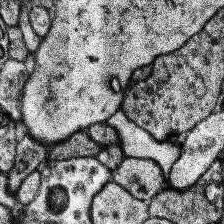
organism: Human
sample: Temporal Lobe